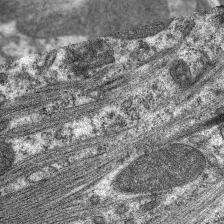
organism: C. elegans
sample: Pharynx